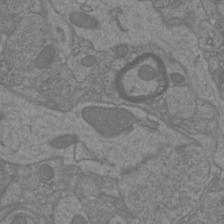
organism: Mouse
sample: Cortical neurons